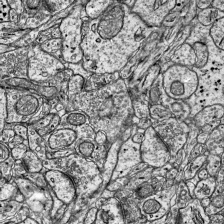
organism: Mouse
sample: Visual Cortex